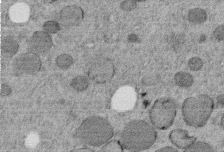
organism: C. elegans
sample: C. elegans embryo early stage